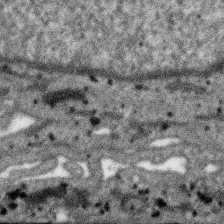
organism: Human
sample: Lung epithelial cells infected with SARS-CoV-2